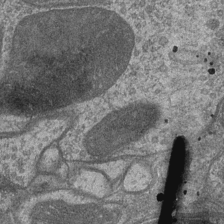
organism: Drosophila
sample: Optic medulla